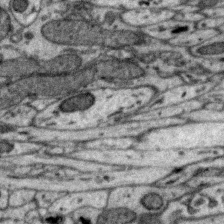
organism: Zebra finch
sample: Brain